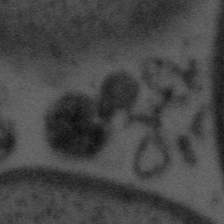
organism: Tuwongella immobilis